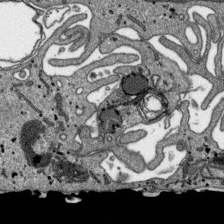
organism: Human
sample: Lung epithelial cells, uninfected (mock) control